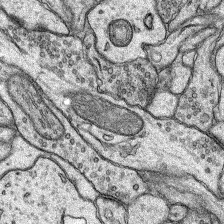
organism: Rat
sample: Hippocampus